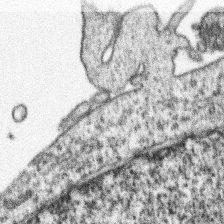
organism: Human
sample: HeLa cells